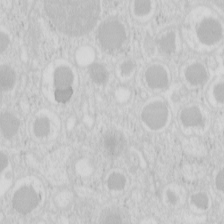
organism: Mouse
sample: Pancreas